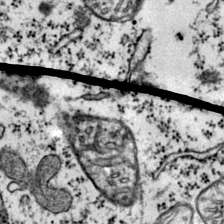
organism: Mouse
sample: Primary visual cortex